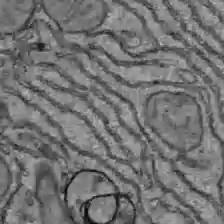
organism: C57BL Mouse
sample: Liver